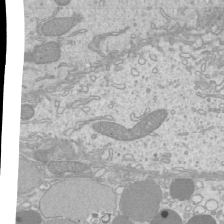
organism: Mouse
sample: Cilia; mouse epididymis